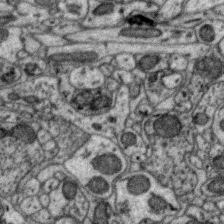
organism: Zebra finch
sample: Brain